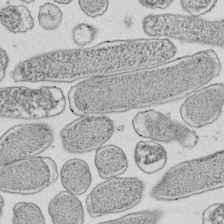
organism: E. coli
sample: Bacterial nucleoid